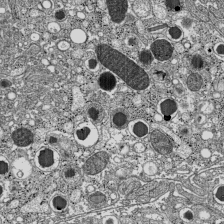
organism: C57BL Mouse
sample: Pancreatic islet